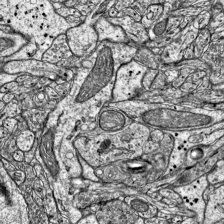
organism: Mouse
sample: Visual Cortex